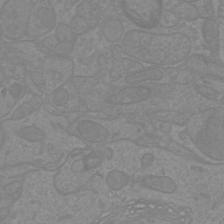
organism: Mouse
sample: Cortical neurons